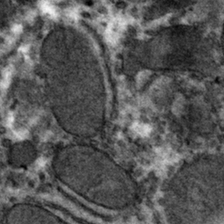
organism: Mouse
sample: Mouse hepatocytes